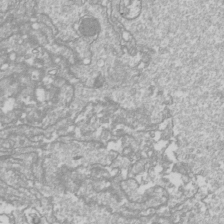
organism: Drosophila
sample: Cell division; meiosis; drosophila spermatocytes